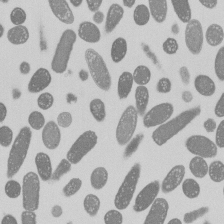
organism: E. coli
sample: Bacterial nucleoid